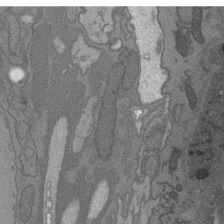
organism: C. elegans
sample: AFD neurons C. elegans